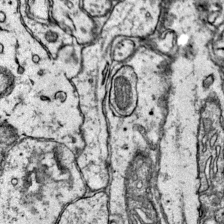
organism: Mouse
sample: Primary visual cortex